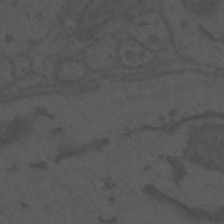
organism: Mouse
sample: Suprachiasmatic nucleus